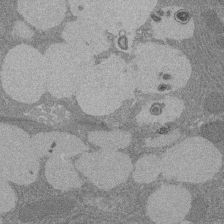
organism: Rat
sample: Salivary granule